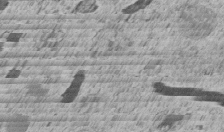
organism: C. elegans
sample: C. elegans embryo early stage